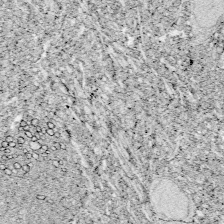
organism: Zebrafish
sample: Whole-Brain